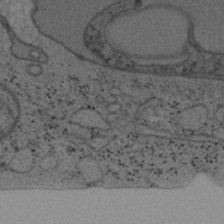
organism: Human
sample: HeLa cells